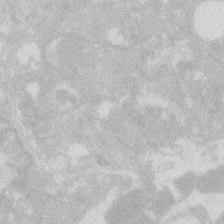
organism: Zebrafish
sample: Macrophage